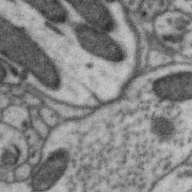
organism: Zebra finch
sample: Brain